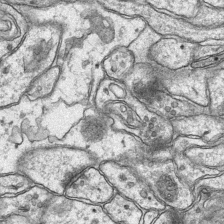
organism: Mouse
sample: CA1 Hippocampus